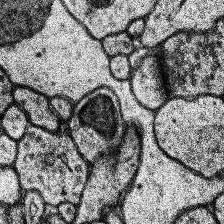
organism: Human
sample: Temporal Lobe